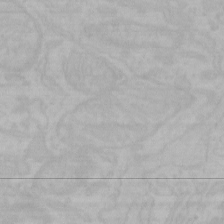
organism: Mouse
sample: Choroid plexus